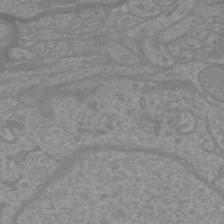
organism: Mouse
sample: Cortical neurons